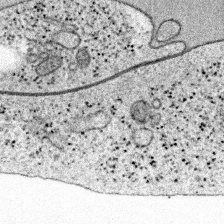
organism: Human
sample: HeLa cells